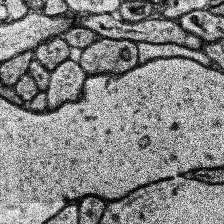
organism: Human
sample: Temporal Lobe